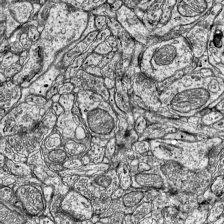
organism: Mouse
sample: Visual Cortex